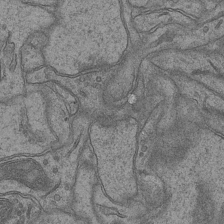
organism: Mouse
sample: CA1 Hippocampus